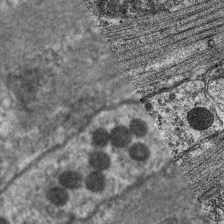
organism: C. elegans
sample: Pharynx